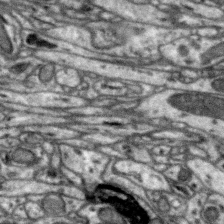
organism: Zebra finch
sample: Brain